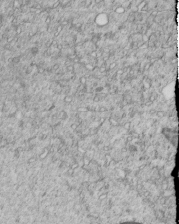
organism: C. elegans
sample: C. elegans embryo early stage